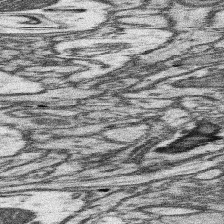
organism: Mouse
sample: Somatosensory cortex neuropil